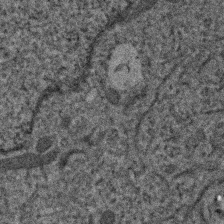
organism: Human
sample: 1205lu cells